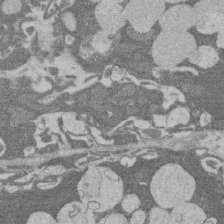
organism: Rat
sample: Salivary granule